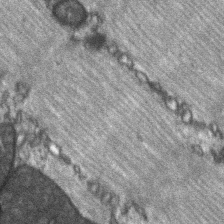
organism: C57BL Mouse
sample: Soleus